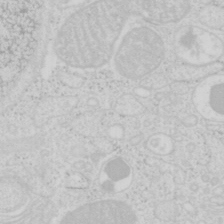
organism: Mouse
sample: Pancreas